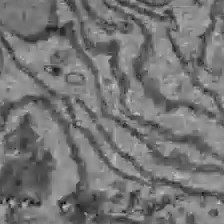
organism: C57BL Mouse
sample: Liver